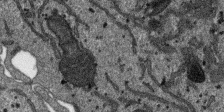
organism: Human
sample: Lung epithelial cells infected with SARS-CoV-2